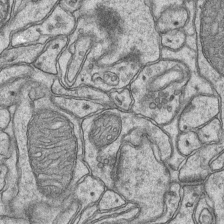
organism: Mouse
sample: CA1 Hippocampus